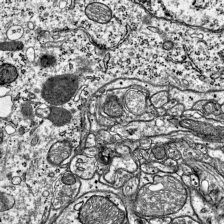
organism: Mouse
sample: Visual Cortex